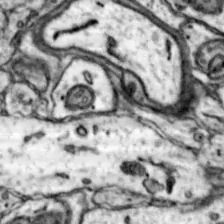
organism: Mouse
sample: Nucleus accumbens